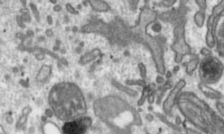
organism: Toxoplasma gondii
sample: Parasites in a vacuole inside a host cell